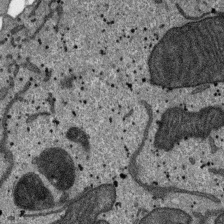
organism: Human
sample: Lung epithelial cells, uninfected (mock) control